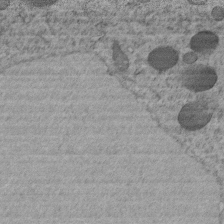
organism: C. elegans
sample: C. elegans embryo early stage